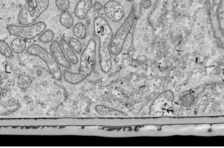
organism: Drosophila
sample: Cell division; meiosis; drosophila spermatocytes